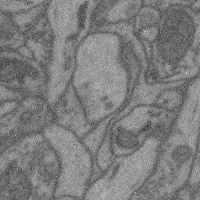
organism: Mouse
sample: Cerebral cortex